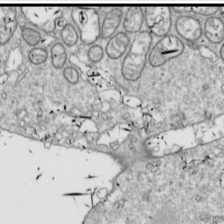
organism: Drosophila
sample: Cell division; meiosis; drosophila spermatocytes